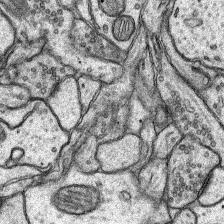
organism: Rat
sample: Hippocampus